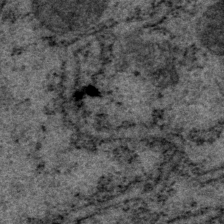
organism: P. pacificus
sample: Pharynx